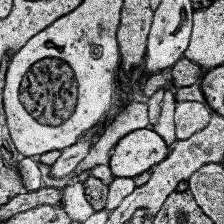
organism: Human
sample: Temporal Lobe